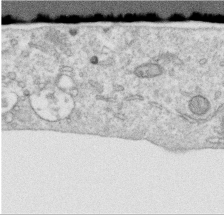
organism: Human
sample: Centriole in RPE cells